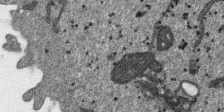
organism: Human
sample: Lung epithelial cells infected with SARS-CoV-2